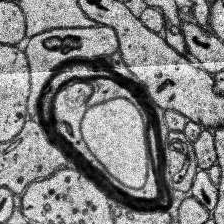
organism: Human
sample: Temporal Lobe